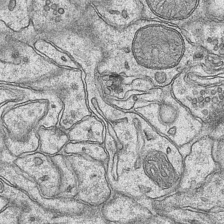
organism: Mouse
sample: CA1 Hippocampus